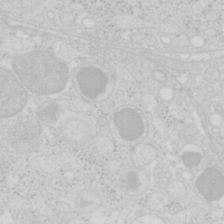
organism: Mouse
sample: Pancreas